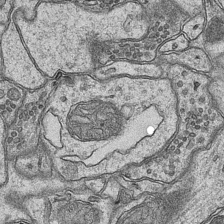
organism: Mouse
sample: CA1 Hippocampus